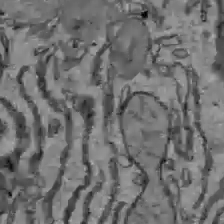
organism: C57BL Mouse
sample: Liver